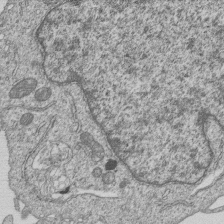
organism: Human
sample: MDA-MB-231 cells